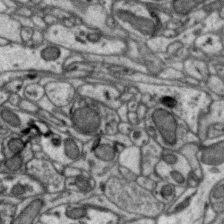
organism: Zebra finch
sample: Brain